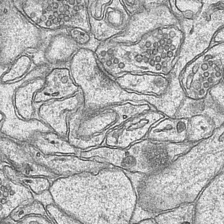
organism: Mouse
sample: CA1 Hippocampus